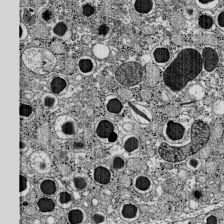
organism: C57BL Mouse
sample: Pancreatic islet